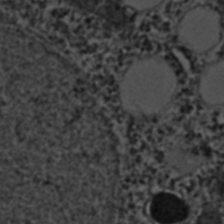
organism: C. elegans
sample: C. elegans embryo